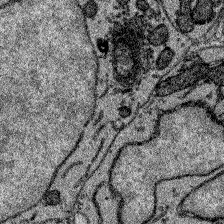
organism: Zebrafish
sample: Larval olfactory bulb